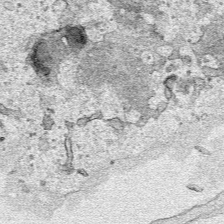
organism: Human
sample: Mitochondria in HCT116 cells